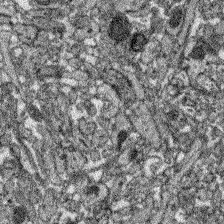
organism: Zebrafish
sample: Larval olfactory bulb